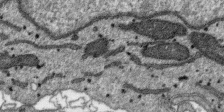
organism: Human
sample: Lung epithelial cells, uninfected (mock) control